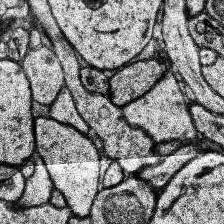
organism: Human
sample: Temporal Lobe